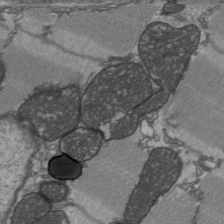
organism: C57BL Mouse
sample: Heart